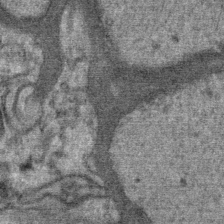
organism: Mouse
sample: Mouse Salivary gland